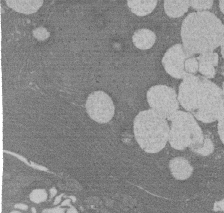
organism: Rat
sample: Salivary granule